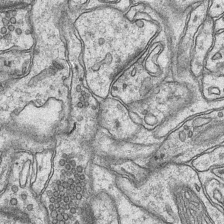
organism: Mouse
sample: CA1 Hippocampus